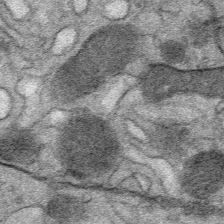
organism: Mouse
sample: Mouse Salivary gland